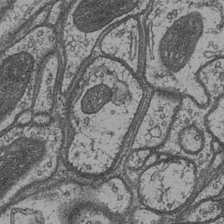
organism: Drosophila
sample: Optic medulla